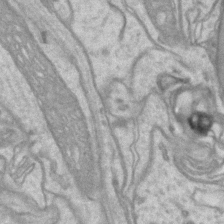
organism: Mouse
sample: CA1 Hippocampus